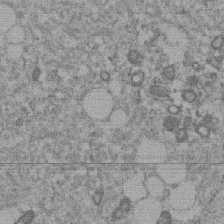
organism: Mouse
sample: Dividing mouse embryo 1 cell stage